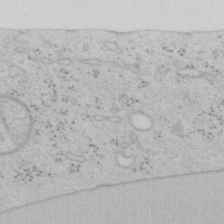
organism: Human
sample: HeLa cells